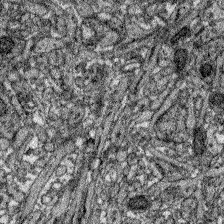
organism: Zebrafish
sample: Larval olfactory bulb